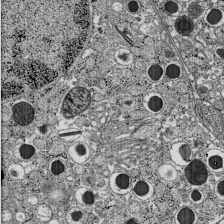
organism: C57BL Mouse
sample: Pancreatic islet